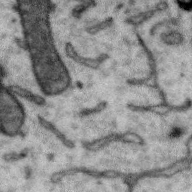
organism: Zebra finch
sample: Brain